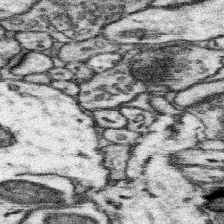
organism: Mouse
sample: Somatosensory cortex neuropil